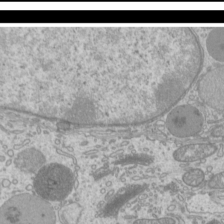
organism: Mouse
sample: Cilia; mouse epididymis